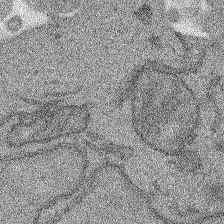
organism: Human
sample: HeLa cells